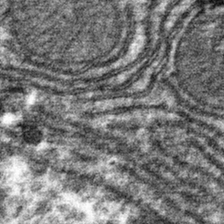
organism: Mouse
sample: Mouse hepatocytes